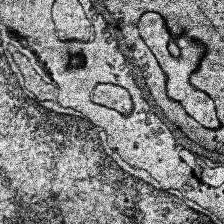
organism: Human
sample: Temporal Lobe